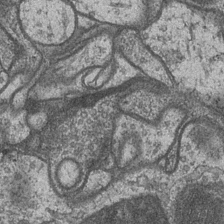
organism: Drosophila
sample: Optic medulla